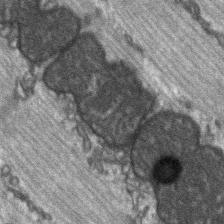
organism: C57BL Mouse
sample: Soleus